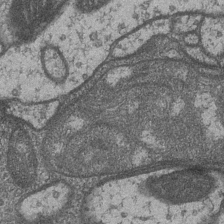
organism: Drosophila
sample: Optic medulla